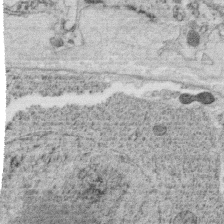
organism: C. elegans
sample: C. elegans oocyte; sperm cells